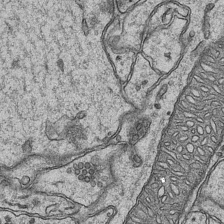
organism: Mouse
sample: CA1 Hippocampus